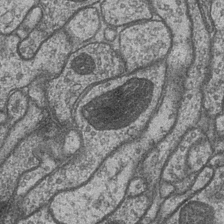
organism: Drosophila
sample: Optic medulla